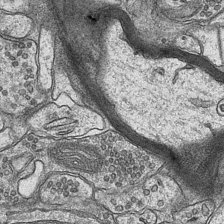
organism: Mouse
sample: CA1 Hippocampus